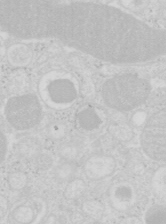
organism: Mouse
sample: Pancreas